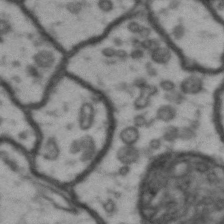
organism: Drosophila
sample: Brain